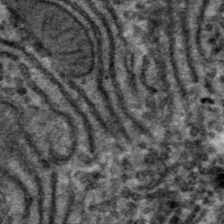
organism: Mouse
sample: Mouse hepatocytes